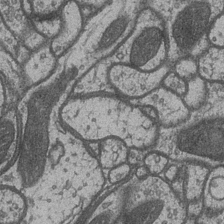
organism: Drosophila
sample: Optic medulla